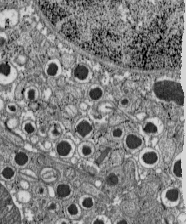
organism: C57BL Mouse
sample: Pancreatic islet